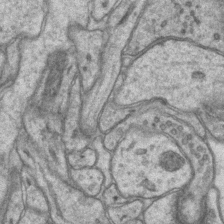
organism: Mouse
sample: CA1 Hippocampus